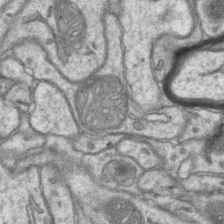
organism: Mouse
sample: CA1 Hippocampus